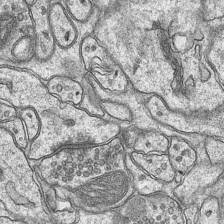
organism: Mouse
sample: CA1 Hippocampus